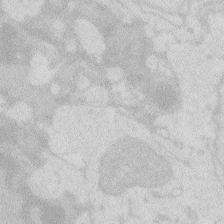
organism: Zebrafish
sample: Macrophage